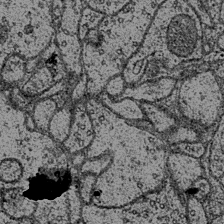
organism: Drosophila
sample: Optic medulla